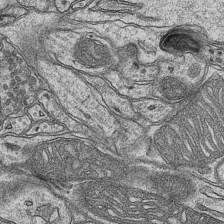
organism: Mouse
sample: CA1 Hippocampus